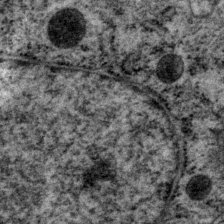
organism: P. pacificus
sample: Pharynx